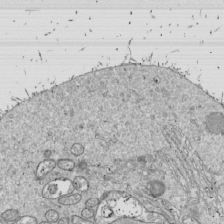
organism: Drosophila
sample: Cell division; meiosis; drosophila spermatocytes